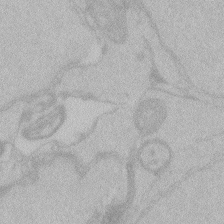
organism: Zebrafish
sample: Macrophage infected with Toxoplasma gondii